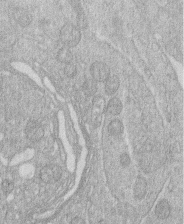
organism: Human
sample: Macrophage cells